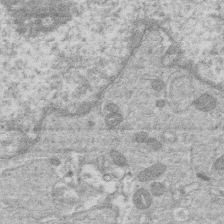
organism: Human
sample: Macrophage cells